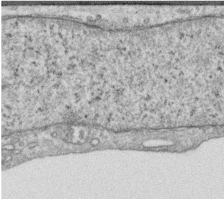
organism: Human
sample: Centriole in RPE cells